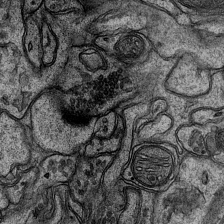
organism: Mouse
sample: CA1 Hippocampus